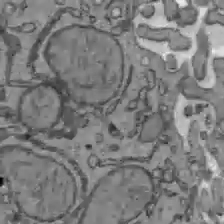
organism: C57BL Mouse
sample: Liver